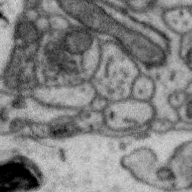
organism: Zebra finch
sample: Brain